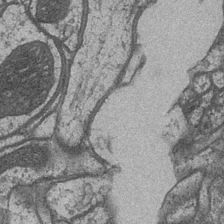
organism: Drosophila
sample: Optic medulla